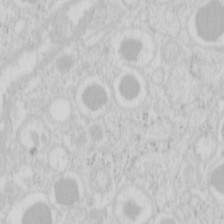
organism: Mouse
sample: Pancreas